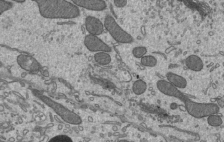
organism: Mouse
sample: Mouse epididymis efferent ductule cilia